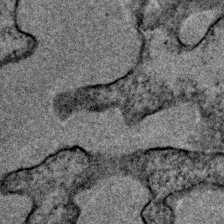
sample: Trachea